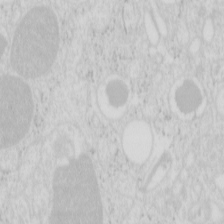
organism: Mouse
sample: Pancreas